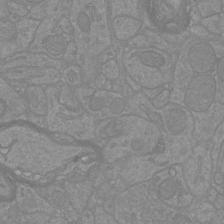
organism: Mouse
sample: Cortical neurons